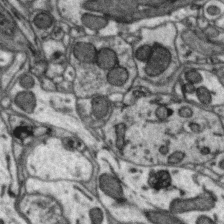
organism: Zebra finch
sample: Brain